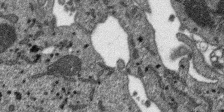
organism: Human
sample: Lung epithelial cells infected with SARS-CoV-2